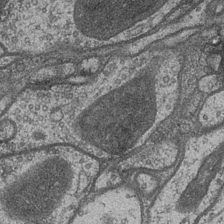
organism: Drosophila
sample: Optic medulla